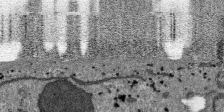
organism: Human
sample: Lung epithelial cells, uninfected (mock) control